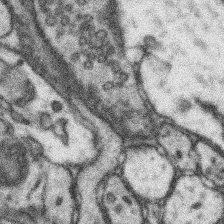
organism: Mouse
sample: Somatosensory cortex neuropil